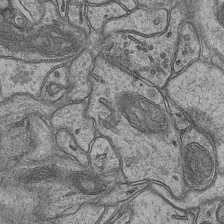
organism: Mouse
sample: CA1 Hippocampus